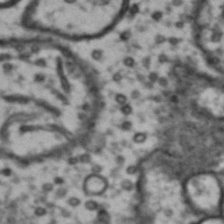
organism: Drosophila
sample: Brain